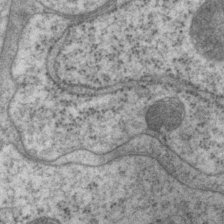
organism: P. pacificus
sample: Pharynx